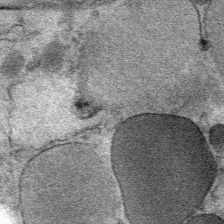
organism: Mouse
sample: Mouse Salivary gland